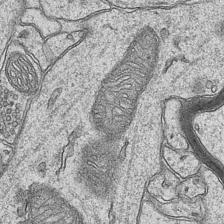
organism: Mouse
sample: CA1 Hippocampus